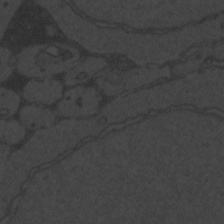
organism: Zebrafish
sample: Macrophage infected with Toxoplasma gondii